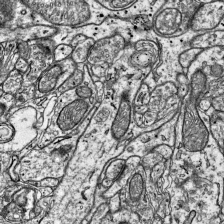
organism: Mouse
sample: Visual Cortex